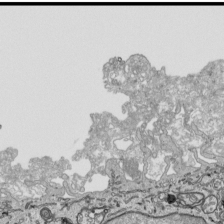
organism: Human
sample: Mitochondria in HCT116 cells